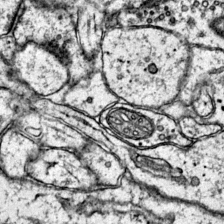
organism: Mouse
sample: Primary visual cortex